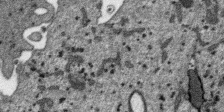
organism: Human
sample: Lung epithelial cells infected with SARS-CoV-2